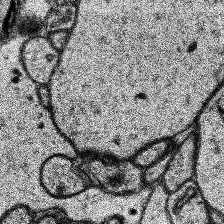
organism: Human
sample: Temporal Lobe